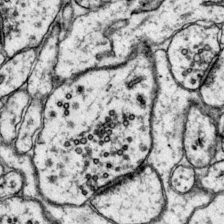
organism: Mouse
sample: Primary visual cortex